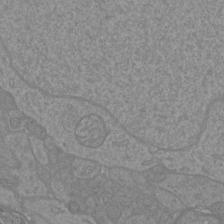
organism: Mouse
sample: Cortical neurons